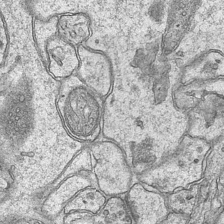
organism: Mouse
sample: CA1 Hippocampus